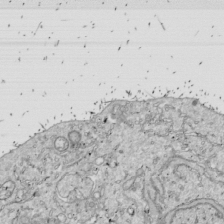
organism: Drosophila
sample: Cell division; meiosis; drosophila spermatocytes